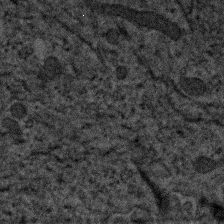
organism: Human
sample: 1205lu cells